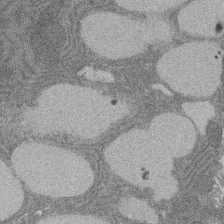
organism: Rat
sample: Salivary granule